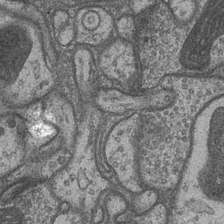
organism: Drosophila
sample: Optic medulla